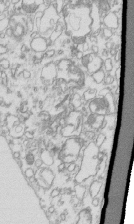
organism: Mouse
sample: Macrophages